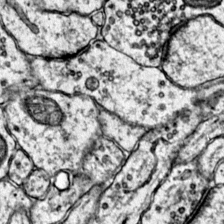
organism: Mouse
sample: Primary visual cortex